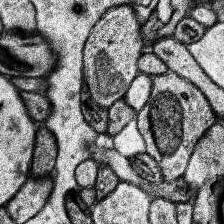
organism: Human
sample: Temporal Lobe